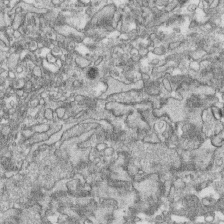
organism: Human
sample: CRL-1474